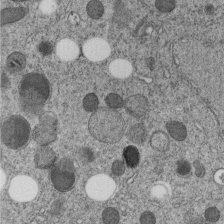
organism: C. elegans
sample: C. elegans embryo early stage